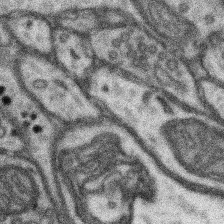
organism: Mouse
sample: Somatosensory cortex neuropil